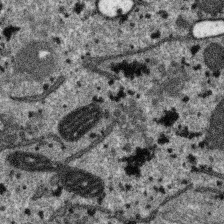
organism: Human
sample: Lung epithelial cells infected with SARS-CoV-2